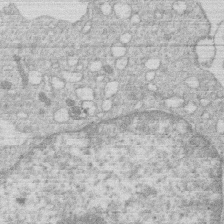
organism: Human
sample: Macrophage cells